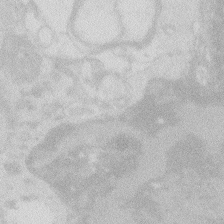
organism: Zebrafish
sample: Macrophage